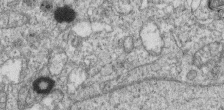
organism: Human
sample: HeLa cell HIV synapse